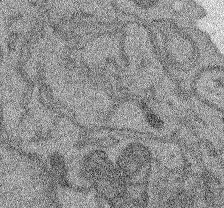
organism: Human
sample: HeLa cells